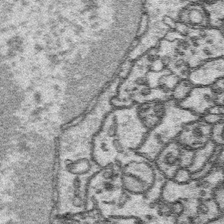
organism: Platynereis dumerilii